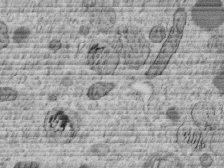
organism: C. elegans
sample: C. elegans embryo early stage